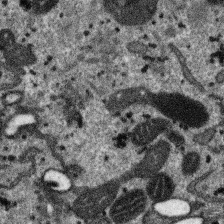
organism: Human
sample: Lung epithelial cells infected with SARS-CoV-2